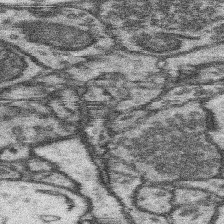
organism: Mouse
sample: Somatosensory cortex neuropil